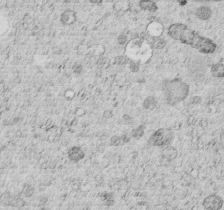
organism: C. elegans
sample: C. elegans embryo early stage